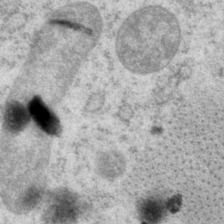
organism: P. pacificus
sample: Pharynx